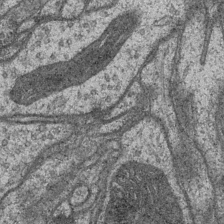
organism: Drosophila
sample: Optic medulla